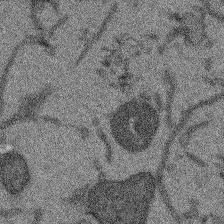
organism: Arabidopsis thaliana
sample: Root tip